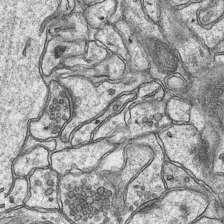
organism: Mouse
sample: CA1 Hippocampus